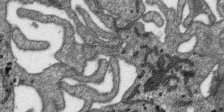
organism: Human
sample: Lung epithelial cells infected with SARS-CoV-2